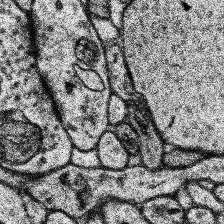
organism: Human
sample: Temporal Lobe